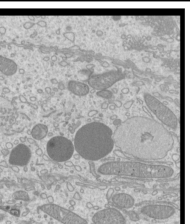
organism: Mouse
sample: Cilia; mouse epididymis